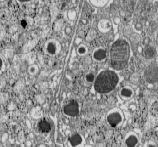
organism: C57BL Mouse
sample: Pancreatic islet